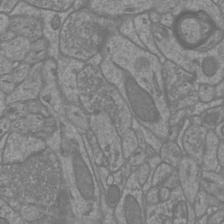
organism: Mouse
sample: Cortical neurons